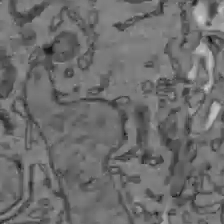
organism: C57BL Mouse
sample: Liver